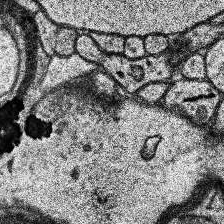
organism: Human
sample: Temporal Lobe